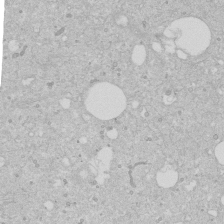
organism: Human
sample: Caco-2 cells